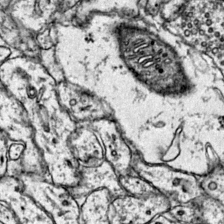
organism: Mouse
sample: Primary visual cortex